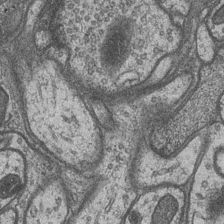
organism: Drosophila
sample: Optic medulla